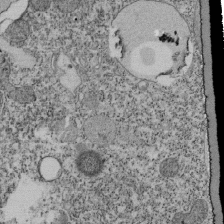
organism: Tetrahymena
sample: Cilia in tetrahymena